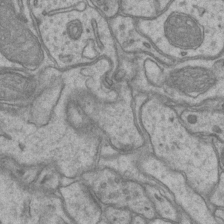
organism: Mouse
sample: CA1 Hippocampus